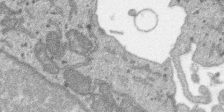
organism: Human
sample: Lung epithelial cells infected with SARS-CoV-2